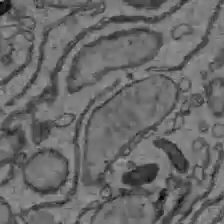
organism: C57BL Mouse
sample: Liver